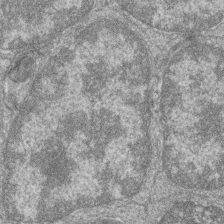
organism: Zebrafish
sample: Cilia; retinal pigment epithelium